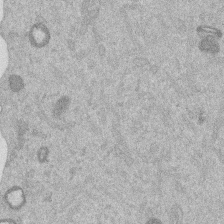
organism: Mouse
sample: Dividing mouse embryo 1 cell stage